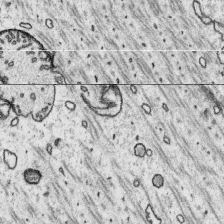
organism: Platynereis dumerilii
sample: Parapodia